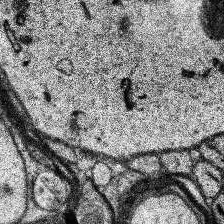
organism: Human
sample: Temporal Lobe